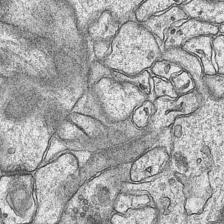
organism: Mouse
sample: CA1 Hippocampus